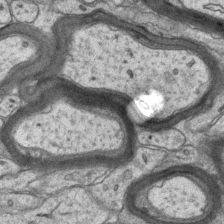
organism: Mouse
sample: CA1 Hippocampus